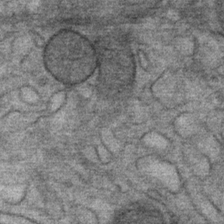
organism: Mouse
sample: Mouse Salivary gland